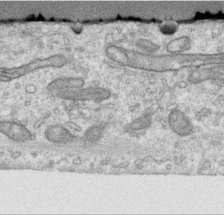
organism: Human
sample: Centriole in RPE cells